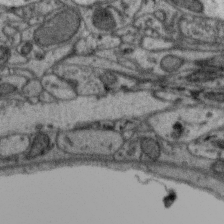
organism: Zebra finch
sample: Brain